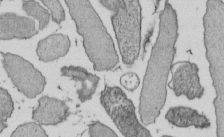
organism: E. coli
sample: Bacterial nucleoid